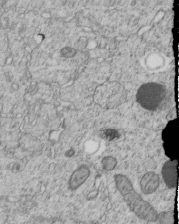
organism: C. elegans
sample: C. elegans embryo early stage